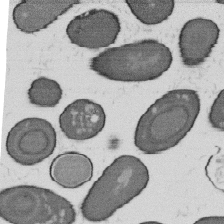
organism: B. subtilis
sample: Bacterial spore